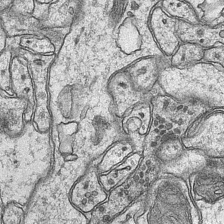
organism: Mouse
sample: CA1 Hippocampus